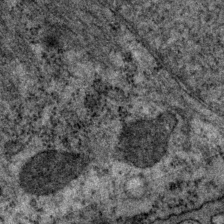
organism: P. pacificus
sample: Pharynx